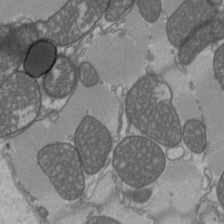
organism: C57BL Mouse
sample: Heart